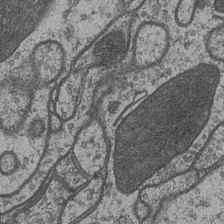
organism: Drosophila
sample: Optic medulla